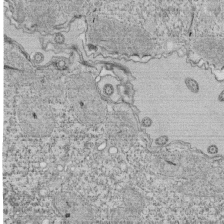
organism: Tetrahymena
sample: Cilia in tetrahymena